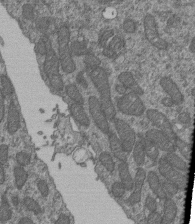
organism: Human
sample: Retinal organoid Rod and Cone cells